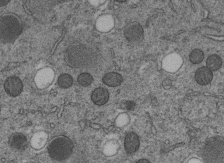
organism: C. elegans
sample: C. elegans embryo early stage